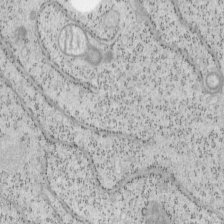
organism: Mouse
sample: OT-I killer T cells with ID8 ovarian cancer cells